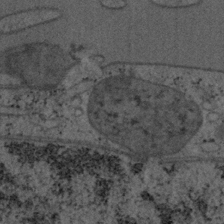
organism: Human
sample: HeLa cells